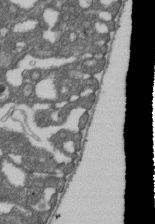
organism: Drosophila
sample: Nephrocyte